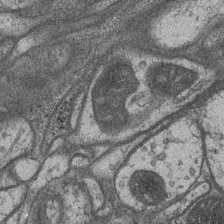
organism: Drosophila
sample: Optic medulla